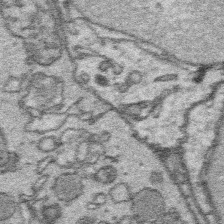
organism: Platynereis dumerilii